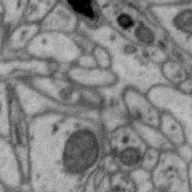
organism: Zebra finch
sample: Brain